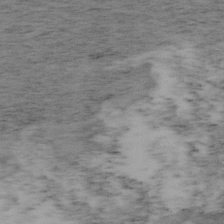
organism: Mouse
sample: OT-I killer T cells with ID8 ovarian cancer cells